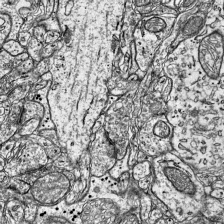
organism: Mouse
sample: Visual Cortex